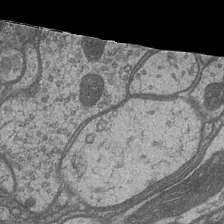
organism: Drosophila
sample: Optic medulla